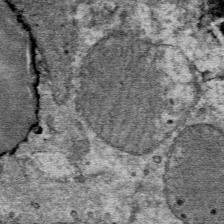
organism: Mouse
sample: Mouse Salivary gland